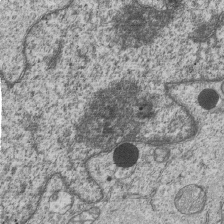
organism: Human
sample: MDA-MB-231 cells